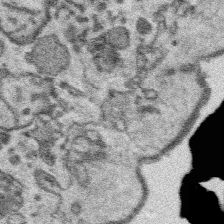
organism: Platynereis dumerilii